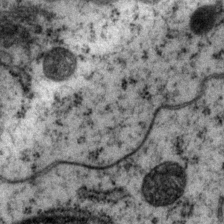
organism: P. pacificus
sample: Pharynx